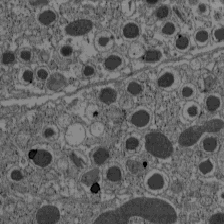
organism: C57BL Mouse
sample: Pancreatic islet